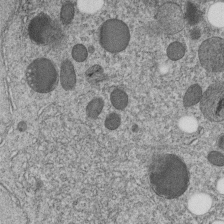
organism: C. elegans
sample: C. elegans embryo early stage